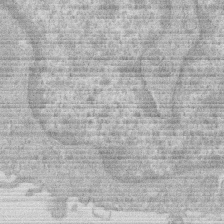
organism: Human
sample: Macrophage cells